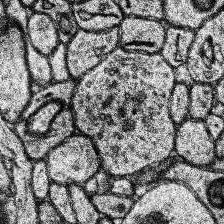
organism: Human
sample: Temporal Lobe